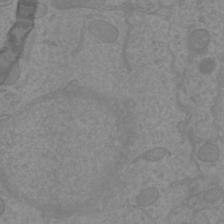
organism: Mouse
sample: Cortical neurons